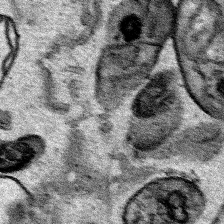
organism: Human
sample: Mitochondria in HCT116 cells